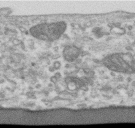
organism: Human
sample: Centriole in RPE cells